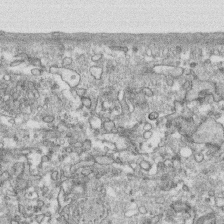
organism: Human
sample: CRL-1474